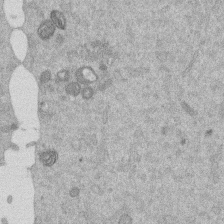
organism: Mouse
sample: Dividing mouse embryo 1 cell stage